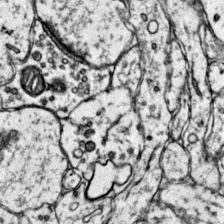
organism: Mouse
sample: Primary visual cortex